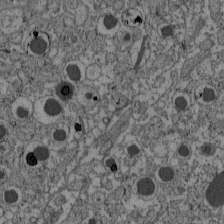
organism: C57BL Mouse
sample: Pancreatic islet